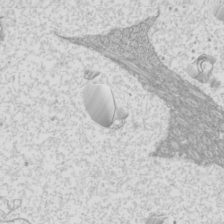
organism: Mouse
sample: Cilia; mouse epididymis